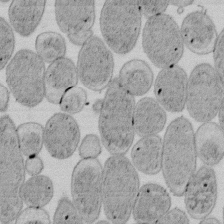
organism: E. coli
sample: Bacterial nucleoid